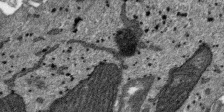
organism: Human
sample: Lung epithelial cells, uninfected (mock) control